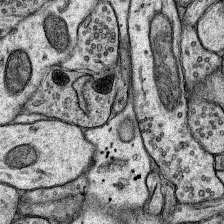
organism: Rat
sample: Hippocampus